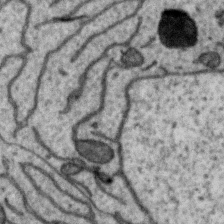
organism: Zebra finch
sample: Brain